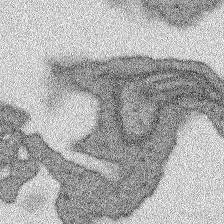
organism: Human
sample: HeLa cells